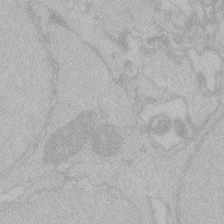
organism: Zebrafish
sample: Macrophage infected with Toxoplasma gondii